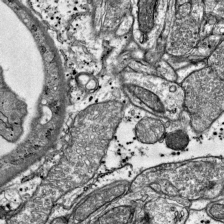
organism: Mouse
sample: Visual Cortex